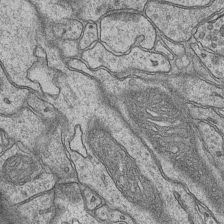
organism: Mouse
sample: CA1 Hippocampus